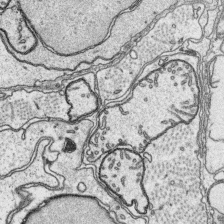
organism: Platynereis dumerilii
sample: Parapodia